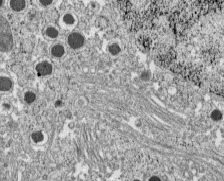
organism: C57BL Mouse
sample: Pancreatic islet